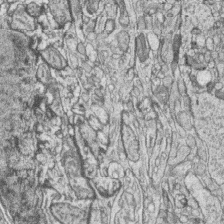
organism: Zebrafish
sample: synaptic ribbons in rod cells and cone cells